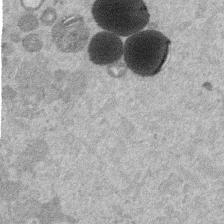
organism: Mouse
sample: Dividing mouse embryo 1 cell stage